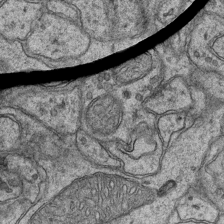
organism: Mouse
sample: CA1 Hippocampus